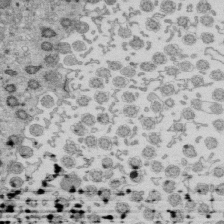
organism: Mouse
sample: Multiciliated cells